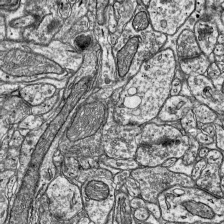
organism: Mouse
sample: Visual Cortex